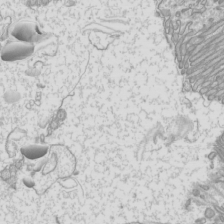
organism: Mouse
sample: Cilia; mouse epididymis